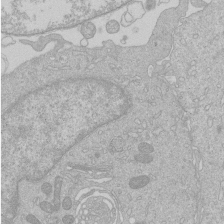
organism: Human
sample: Macrophage cells